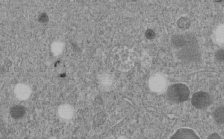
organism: C. elegans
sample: C. elegans embryo early stage